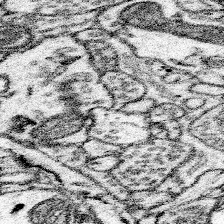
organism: Mouse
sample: Somatosensory cortex neuropil